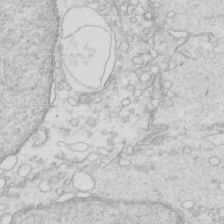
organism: Mouse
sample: Multiciliated cells